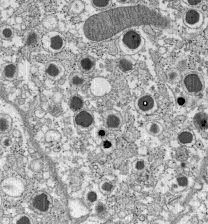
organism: C57BL Mouse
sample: Pancreatic islet